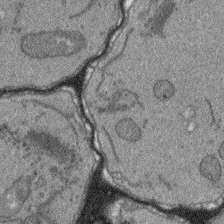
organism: Arabidopsis thaliana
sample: Root tip